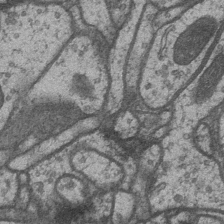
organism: Drosophila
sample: Optic medulla